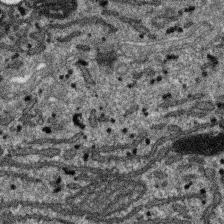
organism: Human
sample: Lung epithelial cells infected with SARS-CoV-2